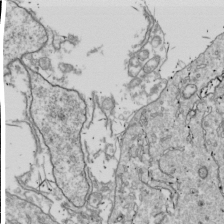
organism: Drosophila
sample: Cell division; meiosis; drosophila spermatocytes